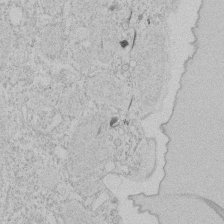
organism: Tetrahymena